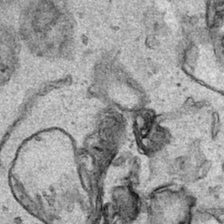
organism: Human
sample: Mitochondria in HCT116 cells